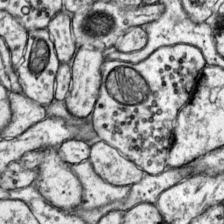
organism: Mouse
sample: Primary visual cortex